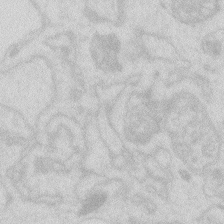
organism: Zebrafish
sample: Macrophage